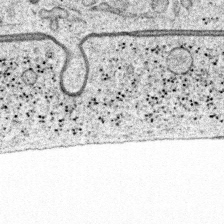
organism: Human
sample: HeLa cells